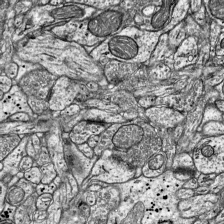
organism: Mouse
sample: Visual Cortex